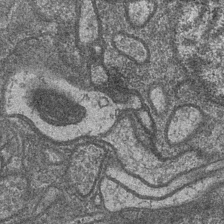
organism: Drosophila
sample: Optic medulla